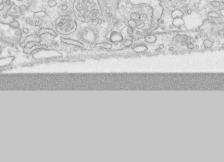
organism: Human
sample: CRL-1474